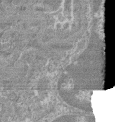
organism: Mouse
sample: Glomerulus